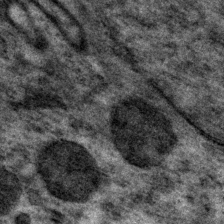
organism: P. pacificus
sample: Pharynx